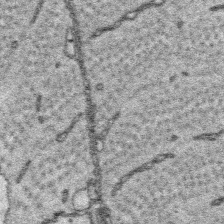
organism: Platynereis dumerilii